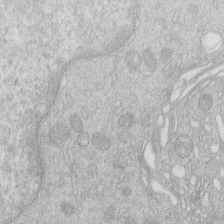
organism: Human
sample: Macrophage cells